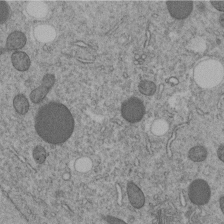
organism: C. elegans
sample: C. elegans embryo early stage